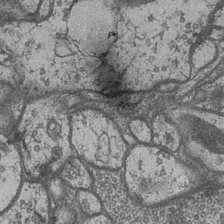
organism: Drosophila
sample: Optic medulla